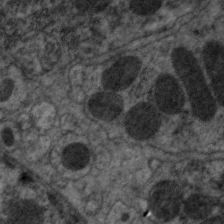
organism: C. elegans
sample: Pharynx